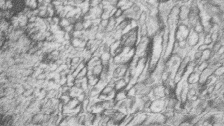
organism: Zebrafish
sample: synaptic ribbons in rod cells and cone cells